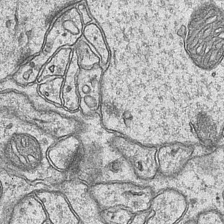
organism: Mouse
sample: CA1 Hippocampus